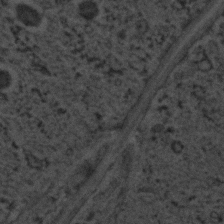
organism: C. elegans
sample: C. elegans embryo